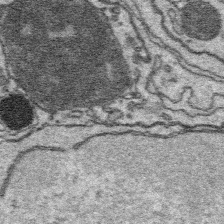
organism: Platynereis dumerilii